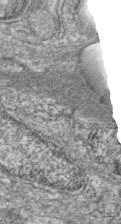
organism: Zebrafish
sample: Cilia; retinal pigment epithelium